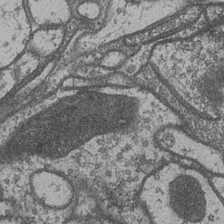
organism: Drosophila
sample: Optic medulla